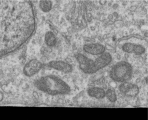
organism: Human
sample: Centriole in RPE cells